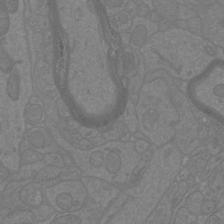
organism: Mouse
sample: Cortical neurons